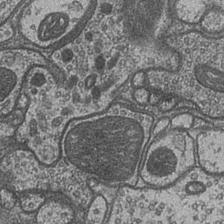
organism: Drosophila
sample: Optic medulla